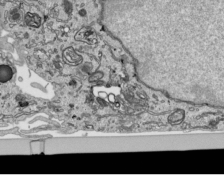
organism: Human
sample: Mitochondria in HCT116 cells